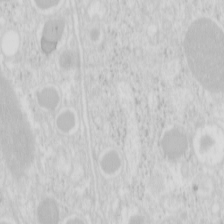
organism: Mouse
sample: Pancreas